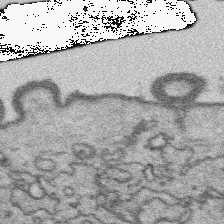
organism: Platynereis dumerilii